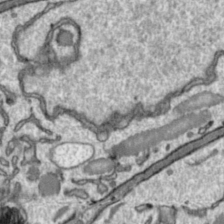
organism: Toxoplasma gondii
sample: Parasites in a vacuole inside a host cell